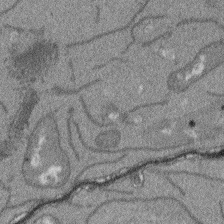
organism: Arabidopsis thaliana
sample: Root tip